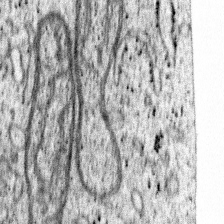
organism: Human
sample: HeLa cells